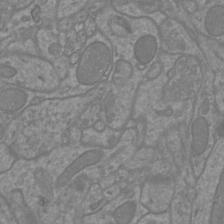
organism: Mouse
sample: Cortical neurons